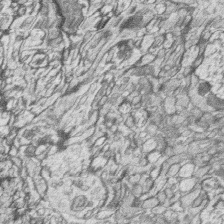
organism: Zebrafish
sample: synaptic ribbons in rod cells and cone cells